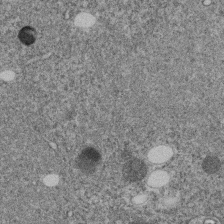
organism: C. elegans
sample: C. elegans embryo early stage